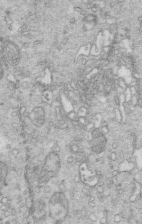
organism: Mouse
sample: Multiciliated cells